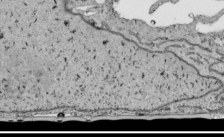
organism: Human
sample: Mitochondria in HCT116 cells